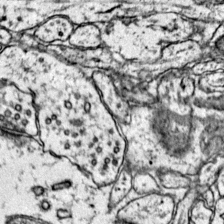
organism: Mouse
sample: Primary visual cortex